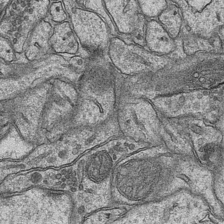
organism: Mouse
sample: CA1 Hippocampus